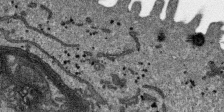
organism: Human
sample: Lung epithelial cells, uninfected (mock) control